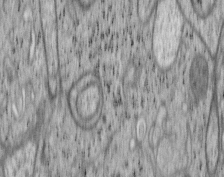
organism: Human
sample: HeLa cells